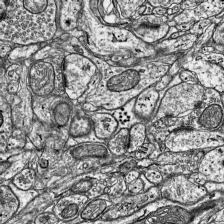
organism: Mouse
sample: Visual Cortex